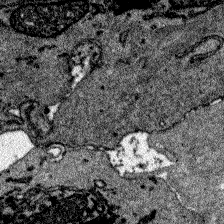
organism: Zebrafish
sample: Larval olfactory bulb